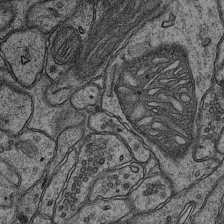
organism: Mouse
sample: CA1 Hippocampus